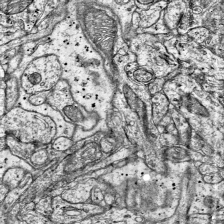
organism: Mouse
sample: Visual Cortex